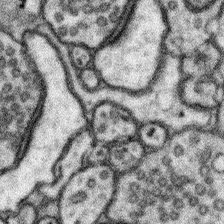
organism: Mouse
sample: Somatosensory cortex neuropil